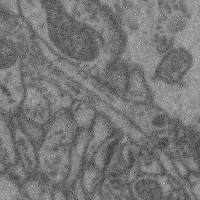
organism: Mouse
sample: Cerebral cortex